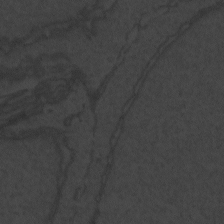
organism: Zebrafish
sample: Macrophage infected with Toxoplasma gondii